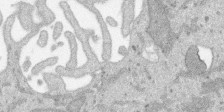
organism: Human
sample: Lung epithelial cells infected with SARS-CoV-2